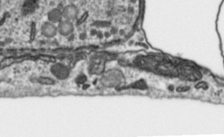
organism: Toxoplasma gondii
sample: Parasites in a vacuole inside a host cell